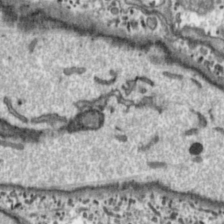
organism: Toxoplasma gondii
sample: Parasites in a vacuole inside a host cell